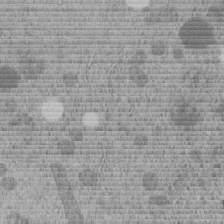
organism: C. elegans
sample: C. elegans embryo early stage